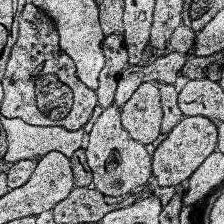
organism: Human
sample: Temporal Lobe